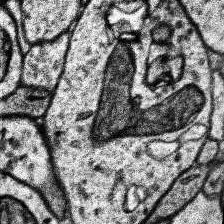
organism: Human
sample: Temporal Lobe